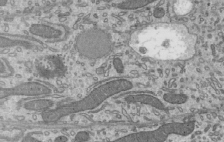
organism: Mouse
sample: Mouse epididymis efferent ductule cilia